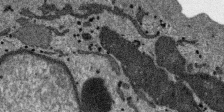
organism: Human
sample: Lung epithelial cells, uninfected (mock) control